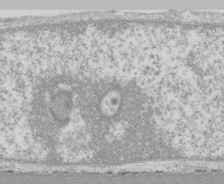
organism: Human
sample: CRL-1474